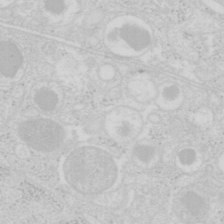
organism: Mouse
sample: Pancreas